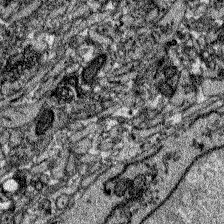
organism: Zebrafish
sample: Larval olfactory bulb